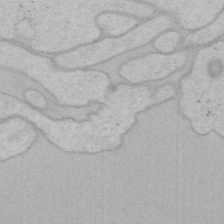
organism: Human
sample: HeLa cells